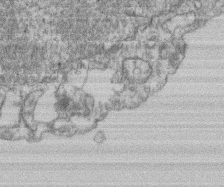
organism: Mouse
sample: T cell stromal cell synapse